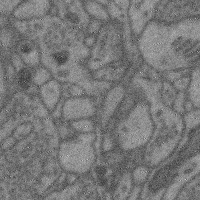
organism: Mouse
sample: Cerebral cortex